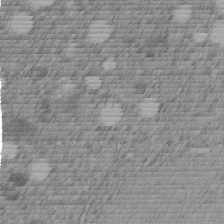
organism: C. elegans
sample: C. elegans embryo early stage